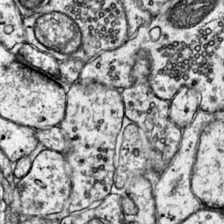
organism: Mouse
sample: Primary visual cortex